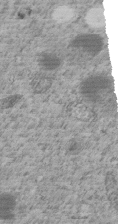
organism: C. elegans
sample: C. elegans embryo early stage